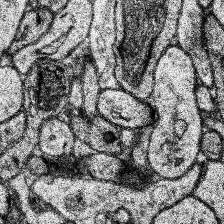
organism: Human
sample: Temporal Lobe